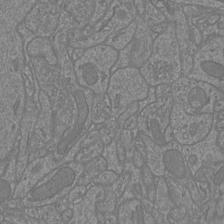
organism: Mouse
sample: Cortical neurons